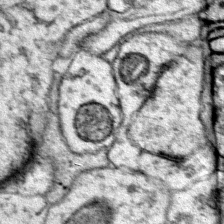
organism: Mouse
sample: Primary visual cortex